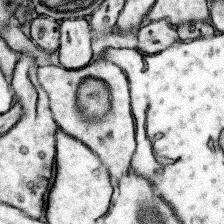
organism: Mouse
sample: Somatosensory cortex neuropil